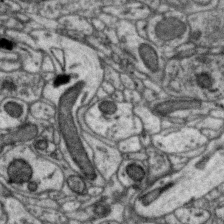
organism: Zebra finch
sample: Brain